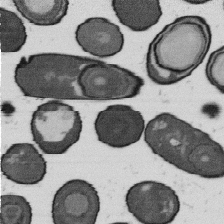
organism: B. subtilis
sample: Bacterial spore